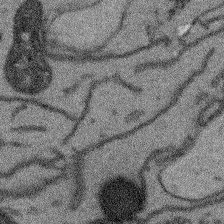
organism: Arabidopsis thaliana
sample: Root tip